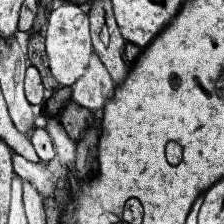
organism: Human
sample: Temporal Lobe